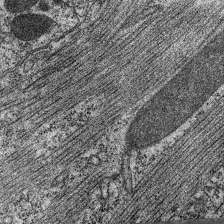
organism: C. elegans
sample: Pharynx